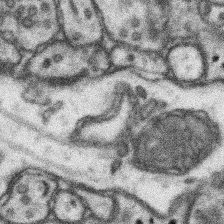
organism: Mouse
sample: Somatosensory cortex neuropil